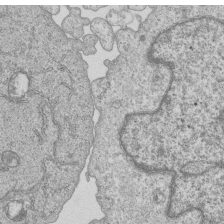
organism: Human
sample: MDA-MB-231 cells